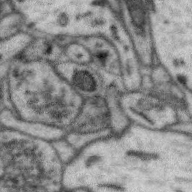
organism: Zebra finch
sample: Brain